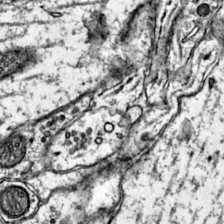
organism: Mouse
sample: Primary visual cortex